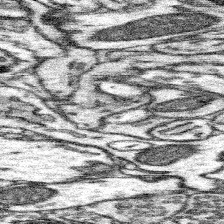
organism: Mouse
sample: Somatosensory cortex neuropil